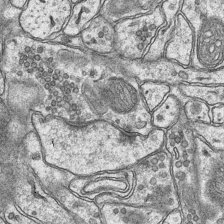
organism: Mouse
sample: CA1 Hippocampus